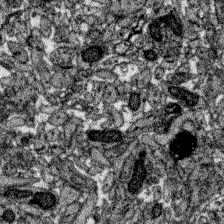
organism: Zebrafish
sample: Larval olfactory bulb